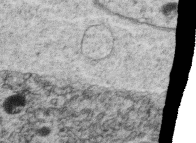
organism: C. elegans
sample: C. elegans oocyte; sperm cells